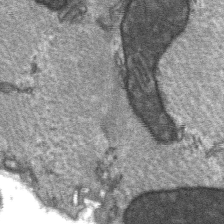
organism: C57BL Mouse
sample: Soleus